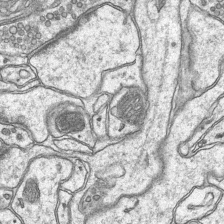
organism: Mouse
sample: CA1 Hippocampus